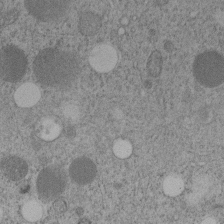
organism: C. elegans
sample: C. elegans embryo early stage